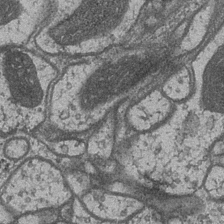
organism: Drosophila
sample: Optic medulla